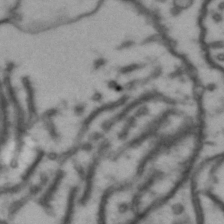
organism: Drosophila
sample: Brain